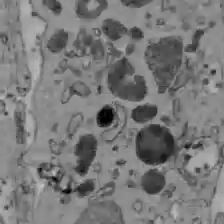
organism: C57BL Mouse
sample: Liver